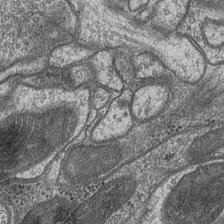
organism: Drosophila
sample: Optic medulla